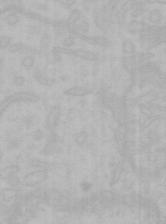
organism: Mouse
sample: Choroid plexus